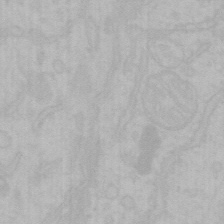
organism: Mouse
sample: Choroid plexus